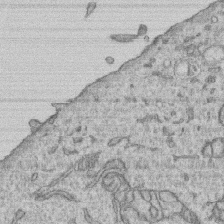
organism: Human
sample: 1205lu cells